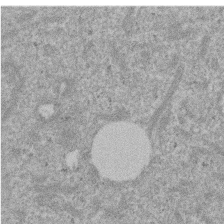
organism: Mouse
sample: Dividing mouse embryo 1 cell stage